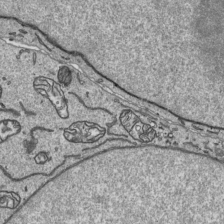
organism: Human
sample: Mitochondria in HCT116 cells